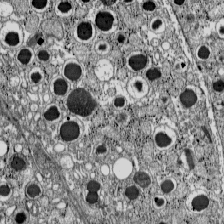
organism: C57BL Mouse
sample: Pancreatic islet